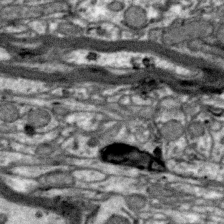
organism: Zebra finch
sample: Brain